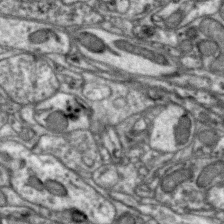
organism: Zebra finch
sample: Brain